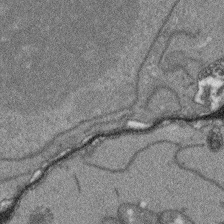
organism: Arabidopsis thaliana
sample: Root tip